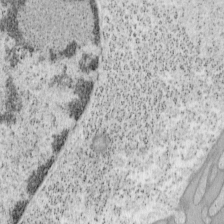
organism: Mouse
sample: OT-I killer T cells with ID8 ovarian cancer cells